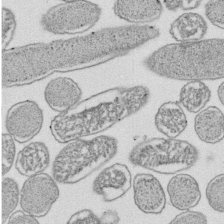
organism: E. coli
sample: Bacterial nucleoid